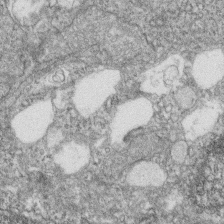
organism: Zebrafish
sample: Cilia; retinal pigment epithelium